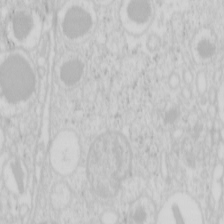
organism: Mouse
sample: Pancreas